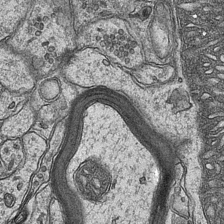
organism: Mouse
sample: CA1 Hippocampus